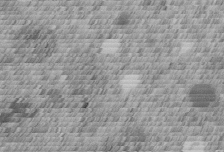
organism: C. elegans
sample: C. elegans embryo early stage